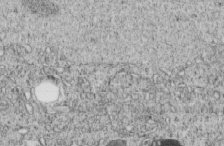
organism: C. elegans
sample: C. elegans embryo early stage